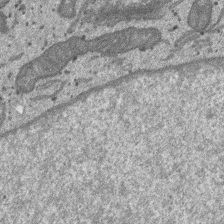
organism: Human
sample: Lung epithelial cells infected with SARS-CoV-2